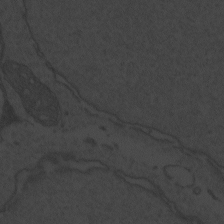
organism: Zebrafish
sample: Macrophage infected with Toxoplasma gondii